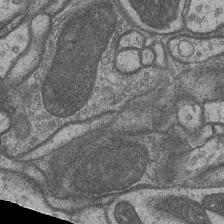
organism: Drosophila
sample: Optic medulla